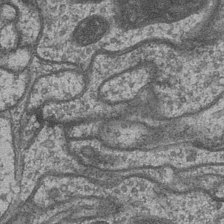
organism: Drosophila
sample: Optic medulla